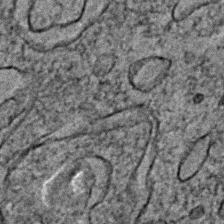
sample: Trachea